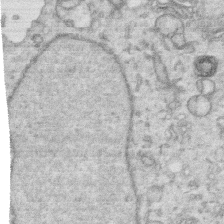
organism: Human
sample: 1205lu cells